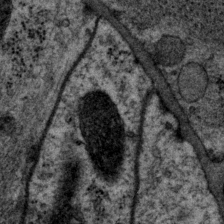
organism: P. pacificus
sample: Pharynx